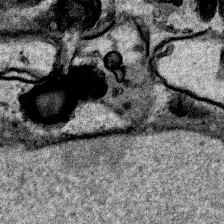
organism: Human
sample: Mitochondria in HCT116 cells